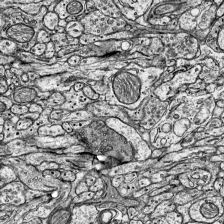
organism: Mouse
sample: Visual Cortex